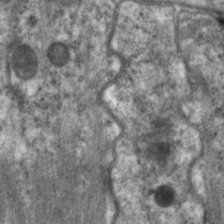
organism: C. elegans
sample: Pharynx